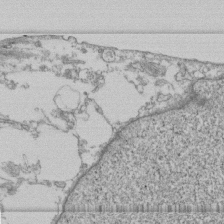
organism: Human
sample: Fibroblast cells